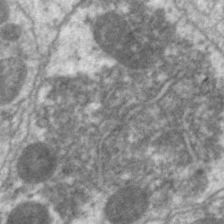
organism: C. elegans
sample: Pharynx